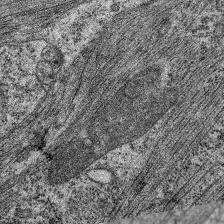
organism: C. elegans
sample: Pharynx